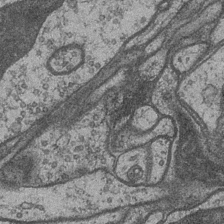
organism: Drosophila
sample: Optic medulla